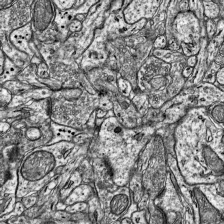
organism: Mouse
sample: Visual Cortex